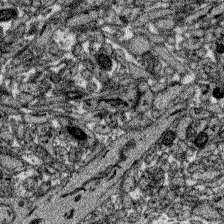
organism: Zebrafish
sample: Larval olfactory bulb